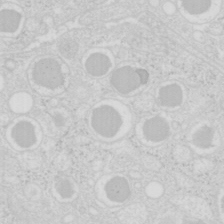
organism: Mouse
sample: Pancreas